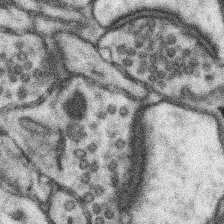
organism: Mouse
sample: Somatosensory cortex neuropil